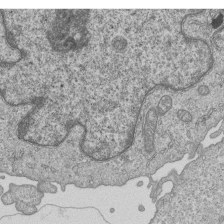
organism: Human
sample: MDA-MB-231 cells